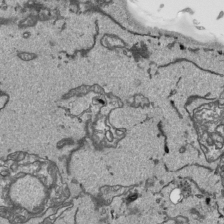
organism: Human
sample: Mitochondria in HCT116 cells